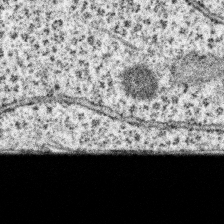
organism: Human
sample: HeLa cells